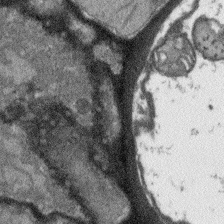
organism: Arabidopsis thaliana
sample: Root tip